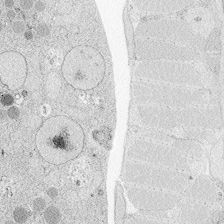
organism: Zebrafish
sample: Whole-Brain